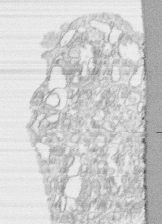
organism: Human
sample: CRL-1474